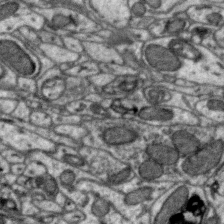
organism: Zebra finch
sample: Brain